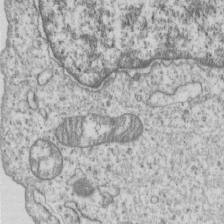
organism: Human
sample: MDA-MB-231 cells